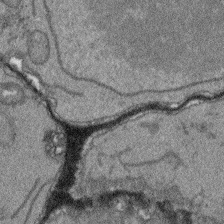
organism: Arabidopsis thaliana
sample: Root tip